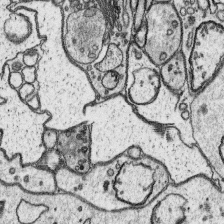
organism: Platynereis dumerilii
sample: Parapodia